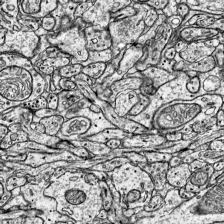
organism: Mouse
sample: Visual Cortex